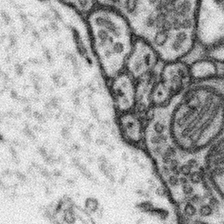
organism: Mouse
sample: Somatosensory cortex neuropil